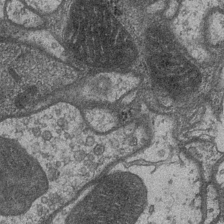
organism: Drosophila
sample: Optic medulla